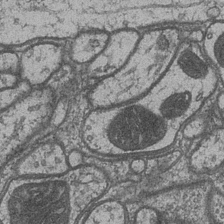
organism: Drosophila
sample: Optic medulla